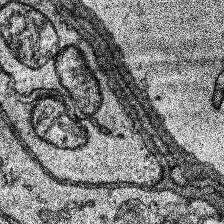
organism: Human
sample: Temporal Lobe